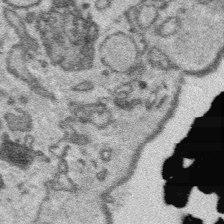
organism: Platynereis dumerilii